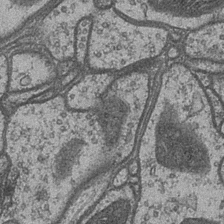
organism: Drosophila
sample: Optic medulla